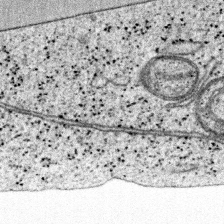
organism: Human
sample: HeLa cells